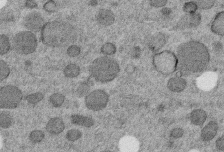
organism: C. elegans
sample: C. elegans embryo early stage